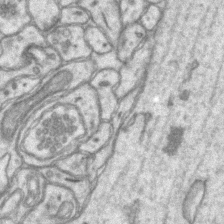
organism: Mouse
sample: CA1 Hippocampus